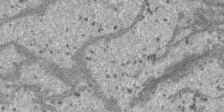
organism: Human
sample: Lung epithelial cells infected with SARS-CoV-2